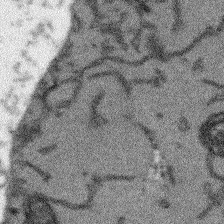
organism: Arabidopsis thaliana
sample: Root tip